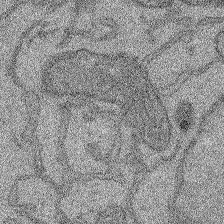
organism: Human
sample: HeLa cells